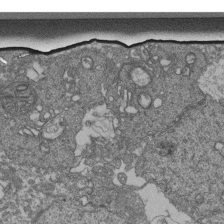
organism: Human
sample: Retinal organoid Rod and Cone cells